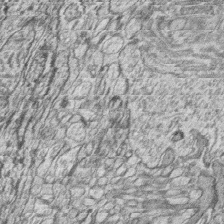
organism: Zebrafish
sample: synaptic ribbons in rod cells and cone cells